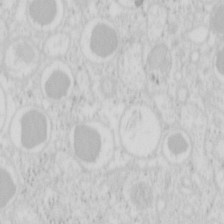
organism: Mouse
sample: Pancreas